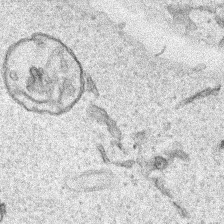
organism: Human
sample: Mitochondria in HCT116 cells